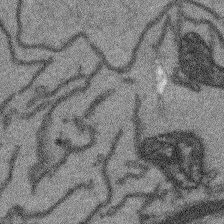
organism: Arabidopsis thaliana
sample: Root tip